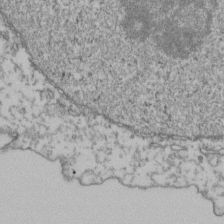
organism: Human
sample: Activated Jurkat CD4+ T cells